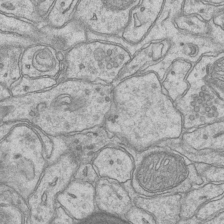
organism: Mouse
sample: CA1 Hippocampus